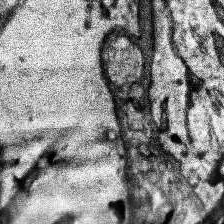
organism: Human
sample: Temporal Lobe